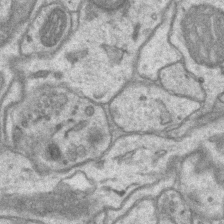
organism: Mouse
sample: CA1 Hippocampus